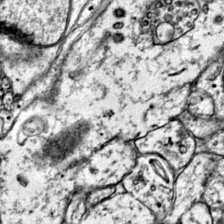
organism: Mouse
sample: Primary visual cortex